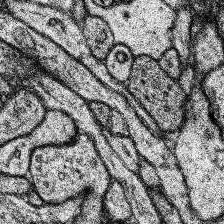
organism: Human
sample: Temporal Lobe